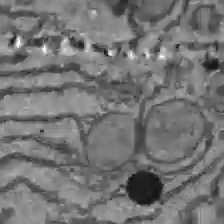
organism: C57BL Mouse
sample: Liver